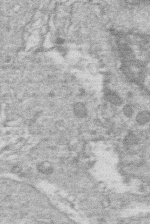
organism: Human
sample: Macrophage cells